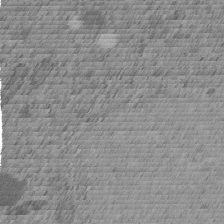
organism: C. elegans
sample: C. elegans embryo early stage